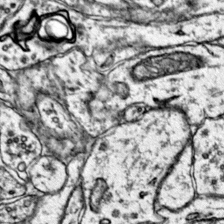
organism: Mouse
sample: Primary visual cortex